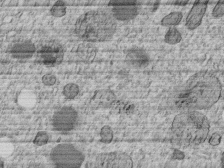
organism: C. elegans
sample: C. elegans embryo early stage